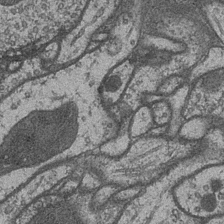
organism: Drosophila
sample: Optic medulla